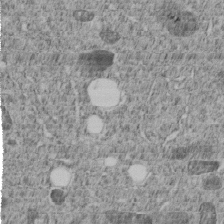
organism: C. elegans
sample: C. elegans embryo early stage